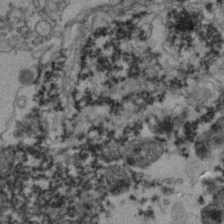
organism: Zebrafish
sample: Zebrafish embryo